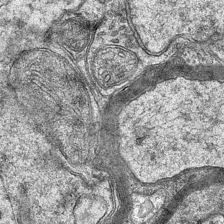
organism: Mouse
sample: CA1 Hippocampus